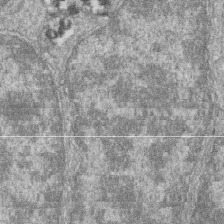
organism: Zebrafish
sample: Cilia; retinal pigment epithelium